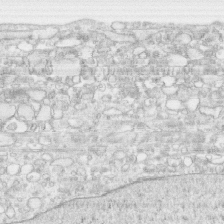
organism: Human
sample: CRL-1474